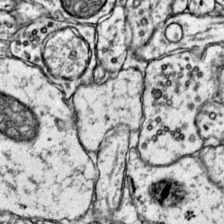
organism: Mouse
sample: Primary visual cortex